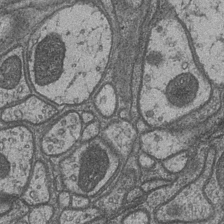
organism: Drosophila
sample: Optic medulla